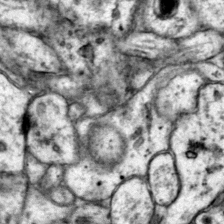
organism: Mouse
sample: Primary visual cortex